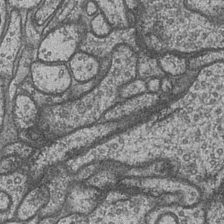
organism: Drosophila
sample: Optic medulla